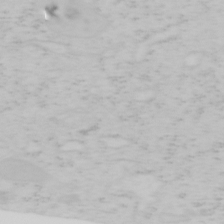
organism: Mouse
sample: OT-I killer T cells with ID8 ovarian cancer cells